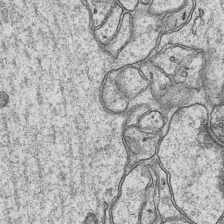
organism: Mouse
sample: CA1 Hippocampus